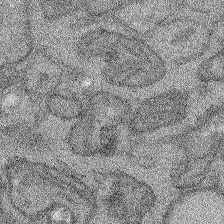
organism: Human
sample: HeLa cells